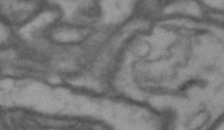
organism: Drosophila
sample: Brain